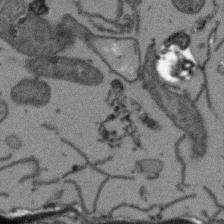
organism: Arabidopsis thaliana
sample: Root tip